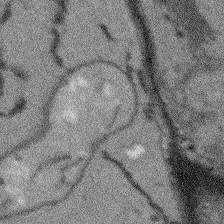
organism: Arabidopsis thaliana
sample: Root tip